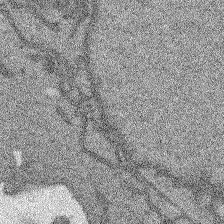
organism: Human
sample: HeLa cells